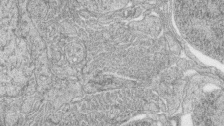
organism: Zebrafish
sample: synaptic ribbons in rod cells and cone cells